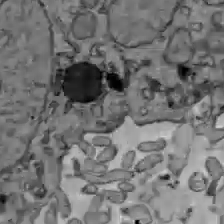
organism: C57BL Mouse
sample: Liver